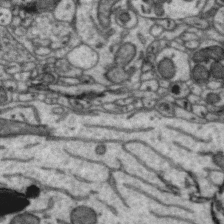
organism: Zebra finch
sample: Brain